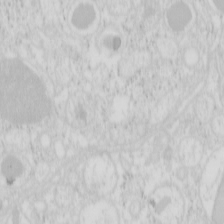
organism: Mouse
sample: Pancreas